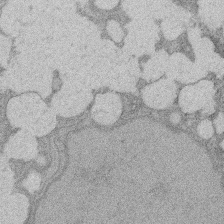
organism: Rat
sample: Salivary granule